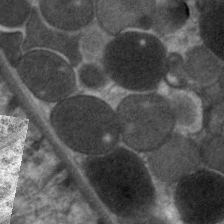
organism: C. elegans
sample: Pharynx